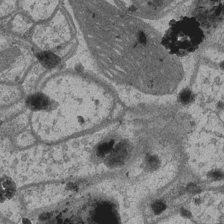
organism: Drosophila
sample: Optic medulla